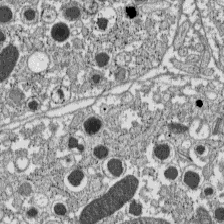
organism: C57BL Mouse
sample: Pancreatic islet